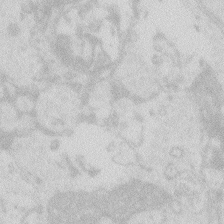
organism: Zebrafish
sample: Macrophage